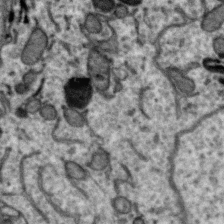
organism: Zebra finch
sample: Brain